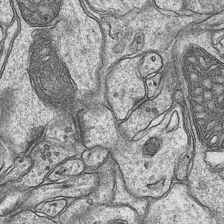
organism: Mouse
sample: CA1 Hippocampus